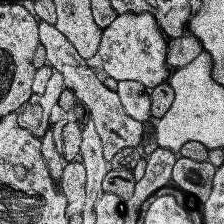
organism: Human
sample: Temporal Lobe